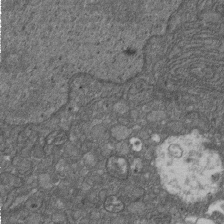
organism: Drosophila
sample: Nephrocyte